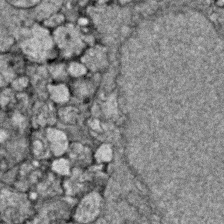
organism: Zebrafish